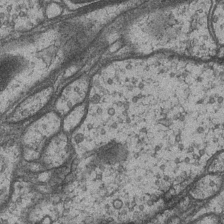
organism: Drosophila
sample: Optic medulla